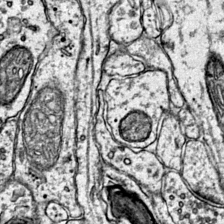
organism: Mouse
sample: Primary visual cortex